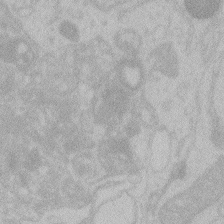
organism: Zebrafish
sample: Macrophage infected with Toxoplasma gondii